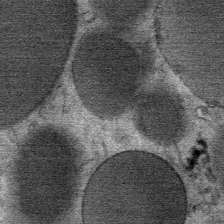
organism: Mouse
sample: Mouse Salivary gland